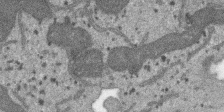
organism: Human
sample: Lung epithelial cells infected with SARS-CoV-2